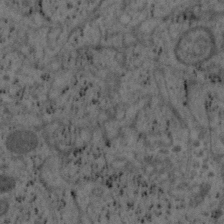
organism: Human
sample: HeLa cells